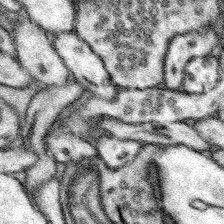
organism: Mouse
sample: Somatosensory cortex neuropil